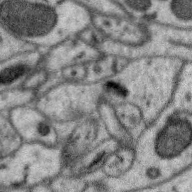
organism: Zebra finch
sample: Brain